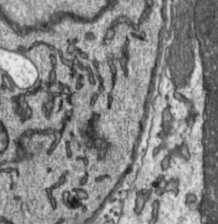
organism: Toxoplasma gondii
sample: Parasites in a vacuole inside a host cell